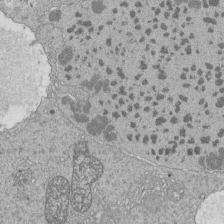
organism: Tetrahymena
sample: Cilia in tetrahymena